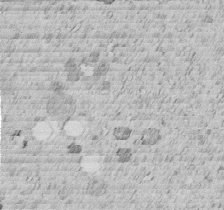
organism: C. elegans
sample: C. elegans embryo early stage